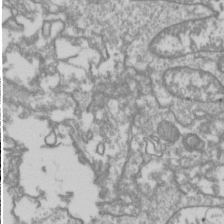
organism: Drosophila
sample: Cell division; meiosis; drosophila spermatocytes